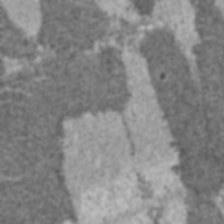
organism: C57BL Mouse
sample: Heart